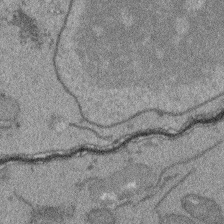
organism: Arabidopsis thaliana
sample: Root tip